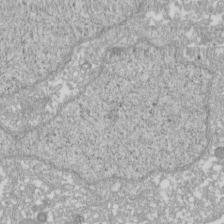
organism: Xenopus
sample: Cilia; centrioles in frog embryo cells